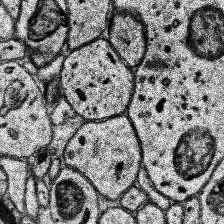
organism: Human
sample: Temporal Lobe